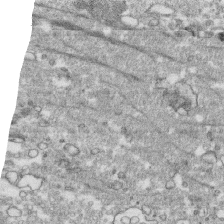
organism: Human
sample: CRL-1474